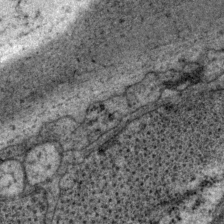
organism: P. pacificus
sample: Pharynx